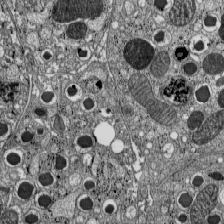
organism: C57BL Mouse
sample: Pancreatic islet